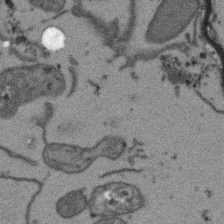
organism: Arabidopsis thaliana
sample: Root tip